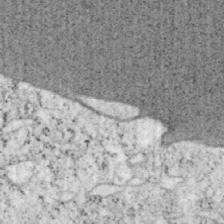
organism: Mouse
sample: OT-I killer T cells with ID8 ovarian cancer cells